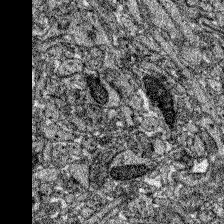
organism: Zebrafish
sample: Larval olfactory bulb